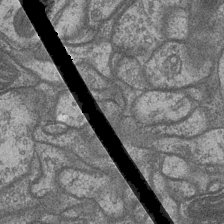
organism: Drosophila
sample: Optic medulla